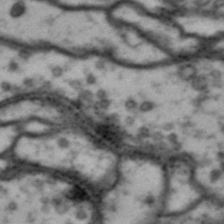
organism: Drosophila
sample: Brain